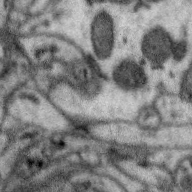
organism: Zebra finch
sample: Brain